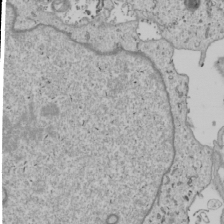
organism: Human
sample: Mitochondria in U2OS cells